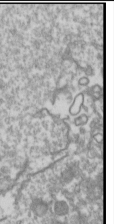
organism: Drosophila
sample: Cell division; meiosis; drosophila spermatocytes